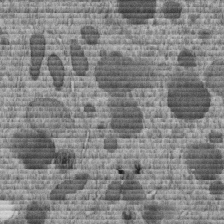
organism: C. elegans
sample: C. elegans embryo early stage